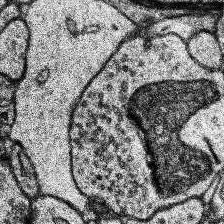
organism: Human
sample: Temporal Lobe